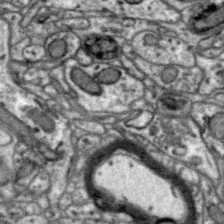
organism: Zebra finch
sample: Brain